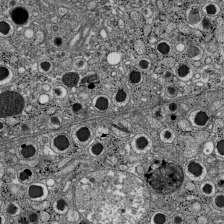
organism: C57BL Mouse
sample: Pancreatic islet